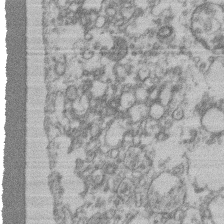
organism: Mouse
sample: T cell stromal cell synapse